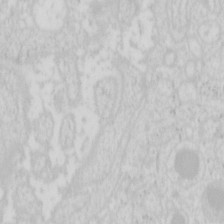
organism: Mouse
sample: Pancreas